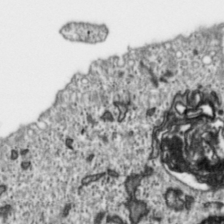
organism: Toxoplasma gondii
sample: Parasites in a vacuole inside a host cell